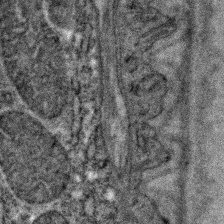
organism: C. elegans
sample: C. elegans embryo